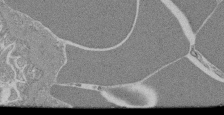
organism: Mouse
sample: Glomerulus